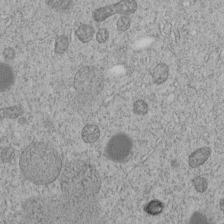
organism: C. elegans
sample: C. elegans embryo early stage